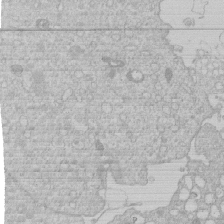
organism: Human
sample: Macrophage cells